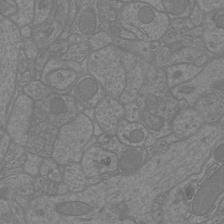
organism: Mouse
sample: Cortical neurons